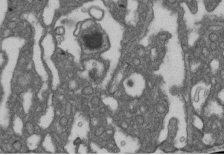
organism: Drosophila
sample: Nephrocyte